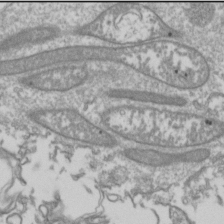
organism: Drosophila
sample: Cell division; meiosis; drosophila spermatocytes